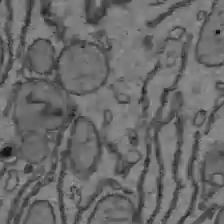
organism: C57BL Mouse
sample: Liver